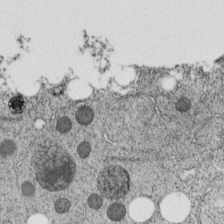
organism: C. elegans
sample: C. elegans embryo early stage